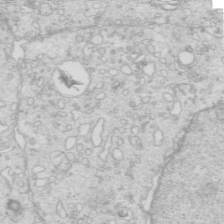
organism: Mouse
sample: Multiciliated cells